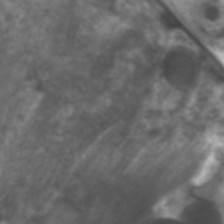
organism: C. elegans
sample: Pharynx